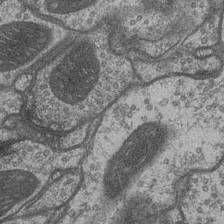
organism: Drosophila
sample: Optic medulla